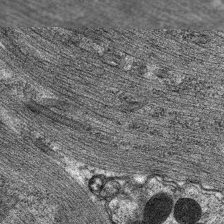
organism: C. elegans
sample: Pharynx